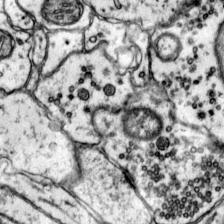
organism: Mouse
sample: Primary visual cortex